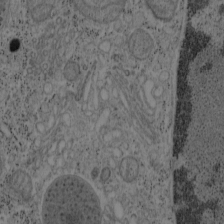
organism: Mouse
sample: OT-I killer T cells with ID8 ovarian cancer cells